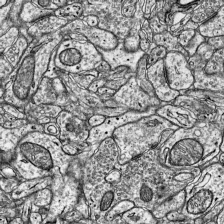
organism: Mouse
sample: Visual Cortex